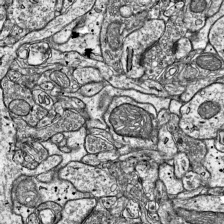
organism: Mouse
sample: Visual Cortex